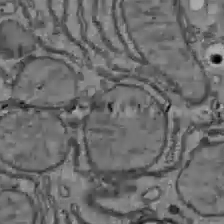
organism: C57BL Mouse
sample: Liver